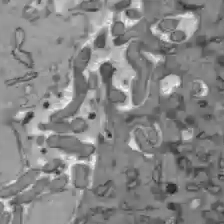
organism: C57BL Mouse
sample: Liver